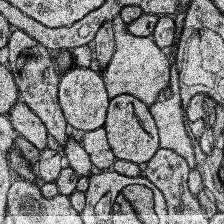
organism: Human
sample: Temporal Lobe